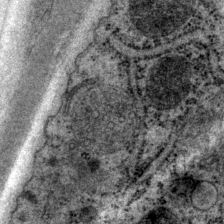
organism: P. pacificus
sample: Pharynx